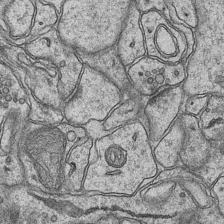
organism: Mouse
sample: CA1 Hippocampus